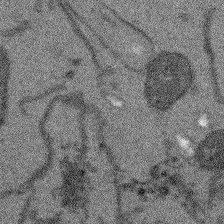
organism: Arabidopsis thaliana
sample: Root tip